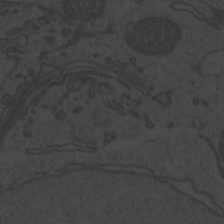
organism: Zebrafish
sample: Macrophage infected with Toxoplasma gondii